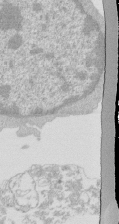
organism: Mouse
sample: Activated Pmel transgenic CD8+ T Cells